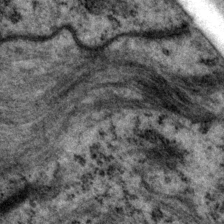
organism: P. pacificus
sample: Pharynx